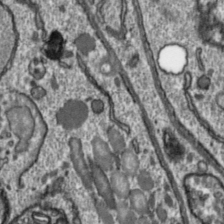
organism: Toxoplasma gondii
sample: Parasites in a vacuole inside a host cell